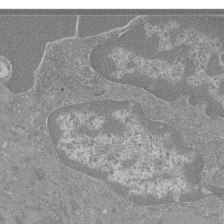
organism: Mouse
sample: Glomerulus